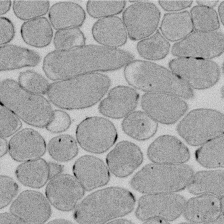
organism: E. coli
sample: Bacterial nucleoid